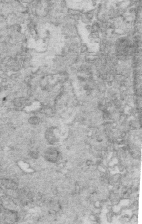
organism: Mouse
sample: Multiciliated cells